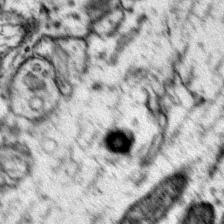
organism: Mouse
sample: Primary visual cortex